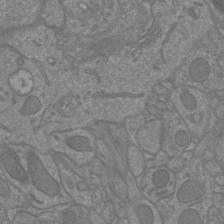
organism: Mouse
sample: Cortical neurons